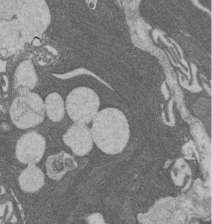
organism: Rat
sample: Salivary granule